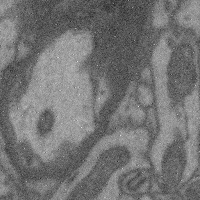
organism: Mouse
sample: Cerebral cortex